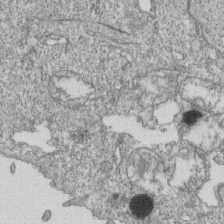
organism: Human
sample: HeLa cell HIV synapse